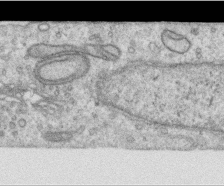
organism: Human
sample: Centriole in RPE cells